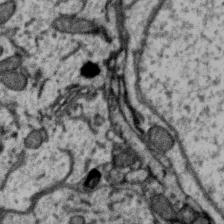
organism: Zebra finch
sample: Brain